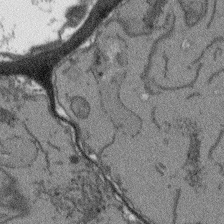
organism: Arabidopsis thaliana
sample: Root tip